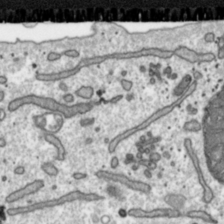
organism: Toxoplasma gondii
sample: Parasites in a vacuole inside a host cell